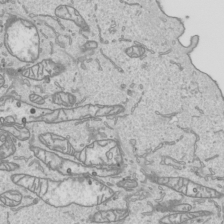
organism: Human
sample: Mitochondria in HCT116 cells